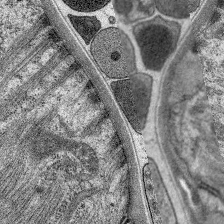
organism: C. elegans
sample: Pharynx